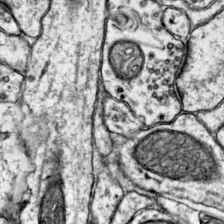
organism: Mouse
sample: Primary visual cortex